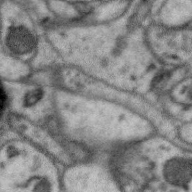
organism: Zebra finch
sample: Brain